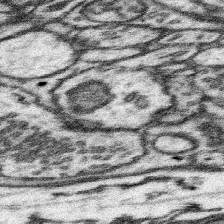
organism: Mouse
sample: Somatosensory cortex neuropil